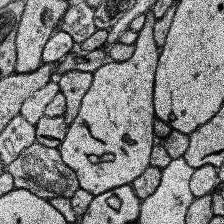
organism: Human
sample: Temporal Lobe